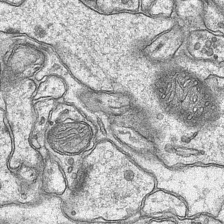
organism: Mouse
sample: CA1 Hippocampus